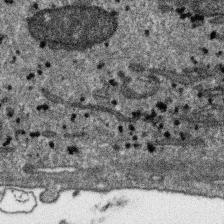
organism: Human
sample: Lung epithelial cells infected with SARS-CoV-2